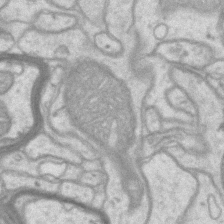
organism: Mouse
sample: CA1 Hippocampus